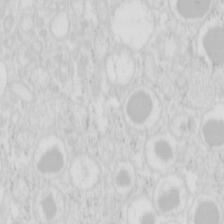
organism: Mouse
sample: Pancreas